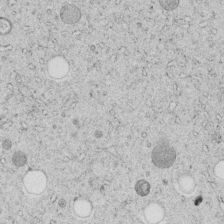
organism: C. elegans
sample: C. elegans embryo early stage